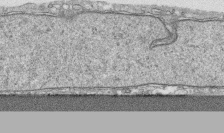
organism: Human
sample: CRL-1474